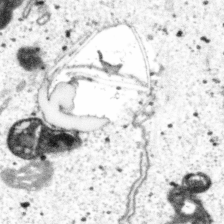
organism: Human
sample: HeLa cells